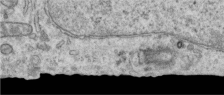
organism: Human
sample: Centriole in RPE cells